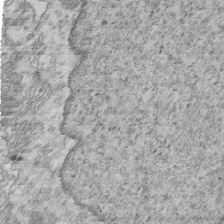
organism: Mouse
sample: Multiciliated cells